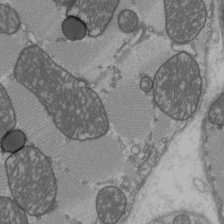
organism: C57BL Mouse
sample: Heart